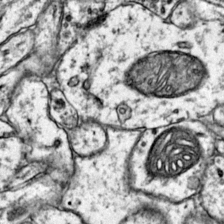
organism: Mouse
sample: Primary visual cortex